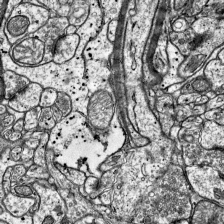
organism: Mouse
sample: Visual Cortex